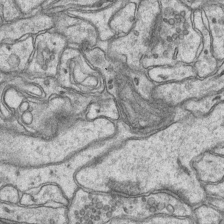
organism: Mouse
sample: CA1 Hippocampus